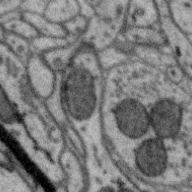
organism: Zebra finch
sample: Brain